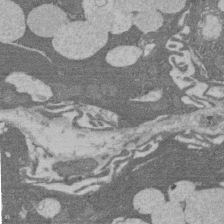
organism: Rat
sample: Salivary granule